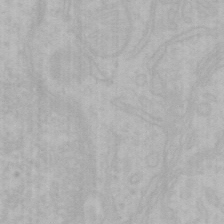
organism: Mouse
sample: Choroid plexus